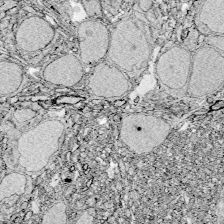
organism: Zebrafish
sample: Whole-Brain